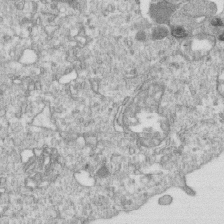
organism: Mouse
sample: Activated OT-1 CD8+ T cells